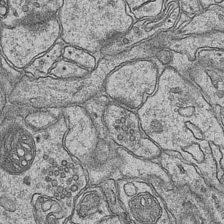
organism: Mouse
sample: CA1 Hippocampus